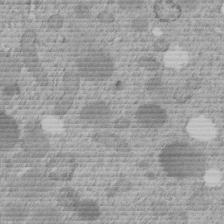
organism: C. elegans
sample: C. elegans embryo early stage